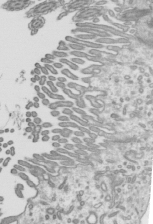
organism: Mouse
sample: Mouse epididymis efferent ductule cilia